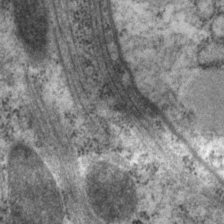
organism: P. pacificus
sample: Pharynx